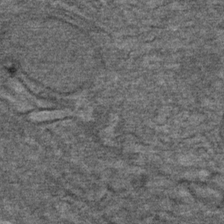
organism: Mouse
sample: Mouse Salivary gland